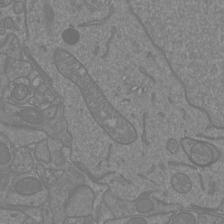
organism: Mouse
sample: Cortical neurons